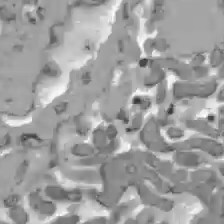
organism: C57BL Mouse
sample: Liver